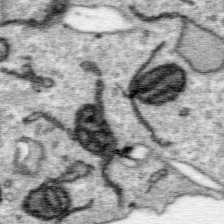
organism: Human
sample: HeLa cells